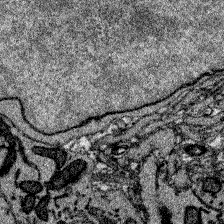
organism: Zebrafish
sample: Larval olfactory bulb